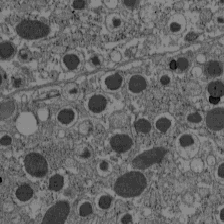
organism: C57BL Mouse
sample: Pancreatic islet